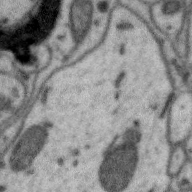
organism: Zebra finch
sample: Brain